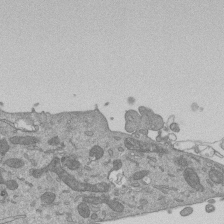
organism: Mouse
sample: ED-1 cell nuclei; centrioles